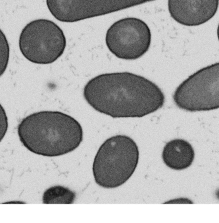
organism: B. subtilis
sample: Bacterial spore